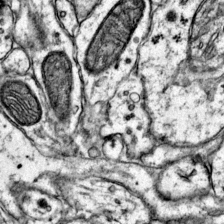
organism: Mouse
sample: Primary visual cortex